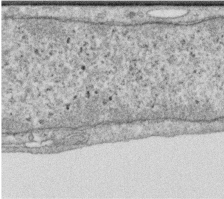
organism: Human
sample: Centriole in RPE cells